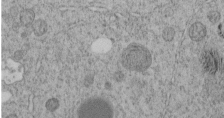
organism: C. elegans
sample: C. elegans embryo early stage